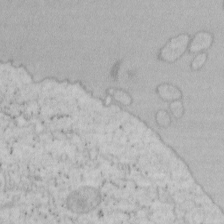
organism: Human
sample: HeLa cells